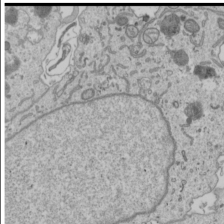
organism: Human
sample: Mitochondria in U2OS cells